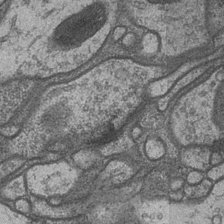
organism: Drosophila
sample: Optic medulla